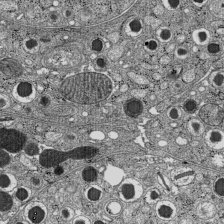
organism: C57BL Mouse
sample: Pancreatic islet